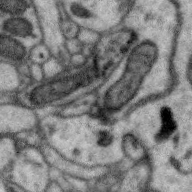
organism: Zebra finch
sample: Brain